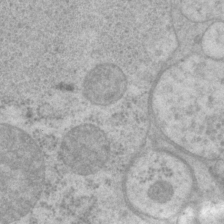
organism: P. pacificus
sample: Pharynx